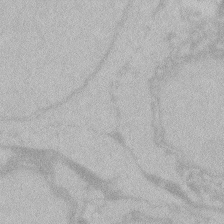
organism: Zebrafish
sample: Macrophage infected with Toxoplasma gondii